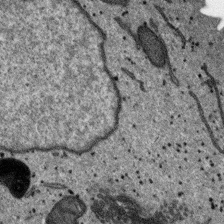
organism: Human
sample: Lung epithelial cells, uninfected (mock) control